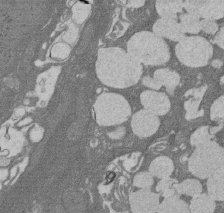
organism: Rat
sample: Salivary granule